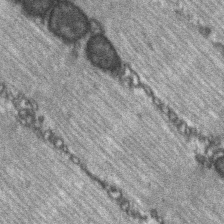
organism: C57BL Mouse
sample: Soleus